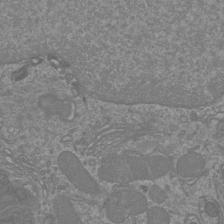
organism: Mouse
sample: Cortical neurons